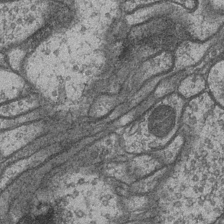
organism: Drosophila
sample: Optic medulla